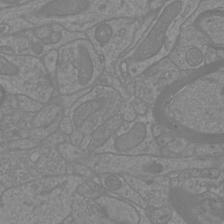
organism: Mouse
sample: Cortical neurons